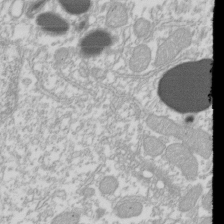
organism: Xenopus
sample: Cilia; centrioles in frog embryo cells